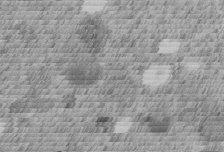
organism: C. elegans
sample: C. elegans embryo early stage